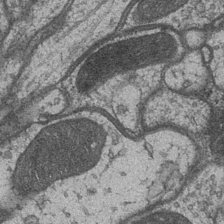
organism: Drosophila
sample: Optic medulla